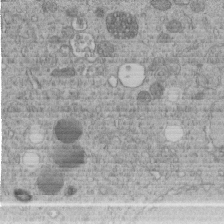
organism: C. elegans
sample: C. elegans embryo early stage